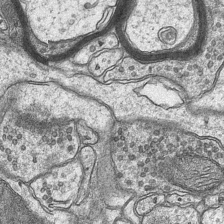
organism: Mouse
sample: CA1 Hippocampus